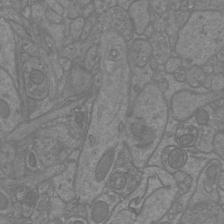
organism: Mouse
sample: Cortical neurons